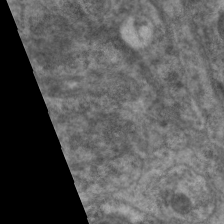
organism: C. elegans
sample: Pharynx